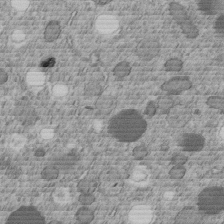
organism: C. elegans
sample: C. elegans embryo early stage